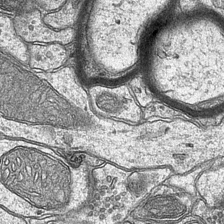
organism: Mouse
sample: CA1 Hippocampus